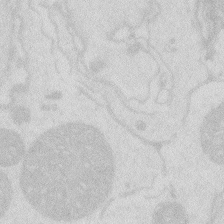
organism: Zebrafish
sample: Macrophage